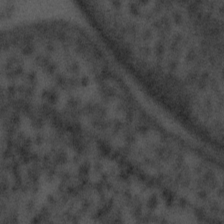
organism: Tuwongella immobilis